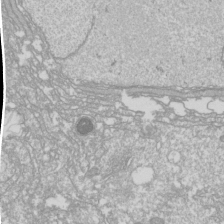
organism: Drosophila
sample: Cell division; meiosis; drosophila spermatocytes